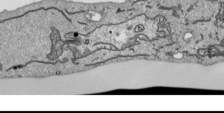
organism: Human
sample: Mitochondria in HCT116 cells